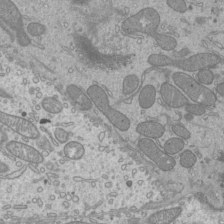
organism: Mouse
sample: Cilia; mouse epididymis